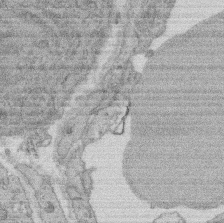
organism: Rat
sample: Salivary granule